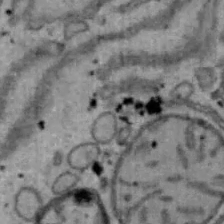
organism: Mouse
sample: Liver